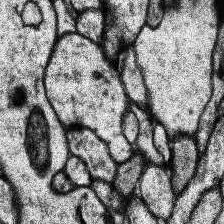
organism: Human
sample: Temporal Lobe